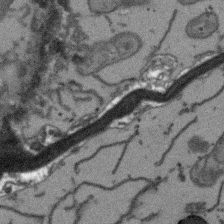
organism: Arabidopsis thaliana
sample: Root tip